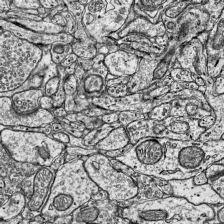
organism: Mouse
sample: Visual Cortex